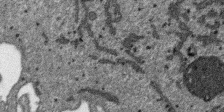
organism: Human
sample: Lung epithelial cells infected with SARS-CoV-2